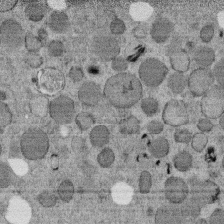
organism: C. elegans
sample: C. elegans embryo early stage